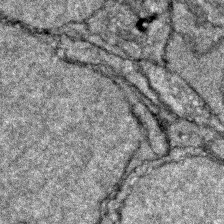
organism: Zebrafish